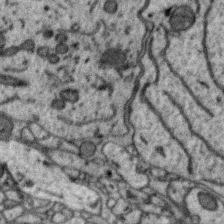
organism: Zebra finch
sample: Brain